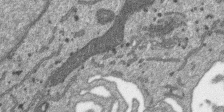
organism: Human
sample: Lung epithelial cells infected with SARS-CoV-2